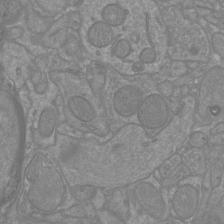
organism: Mouse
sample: Cortical neurons